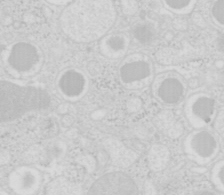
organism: Mouse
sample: Pancreas